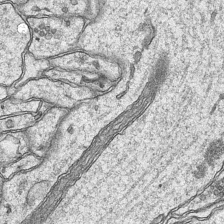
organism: Mouse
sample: CA1 Hippocampus